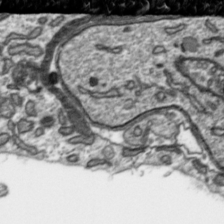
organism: Toxoplasma gondii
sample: Parasites in a vacuole inside a host cell